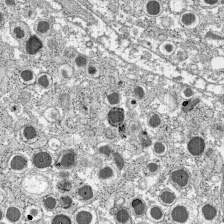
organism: C57BL Mouse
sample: Pancreatic islet